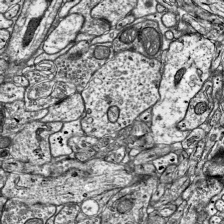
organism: Mouse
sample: Visual Cortex